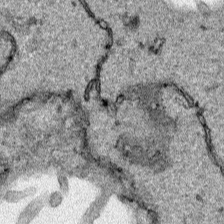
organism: Human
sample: Mitochondria in HCT116 cells